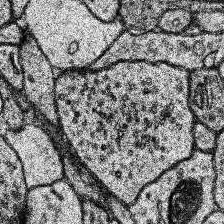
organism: Human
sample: Temporal Lobe